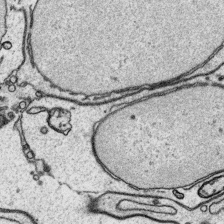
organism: Platynereis dumerilii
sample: Parapodia